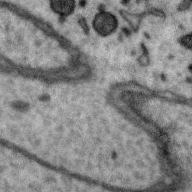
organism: Zebra finch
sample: Brain